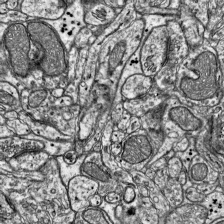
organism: Mouse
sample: Visual Cortex